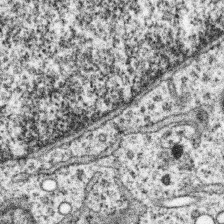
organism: Human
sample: HeLa cells